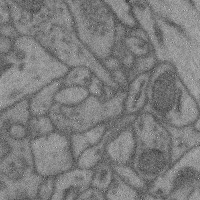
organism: Mouse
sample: Cerebral cortex